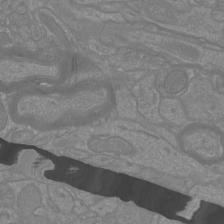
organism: Mouse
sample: Cortical neurons